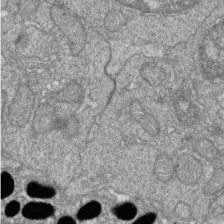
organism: Zebrafish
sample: Cilia; retinal pigment epithelium